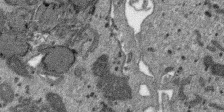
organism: Human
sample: Lung epithelial cells infected with SARS-CoV-2